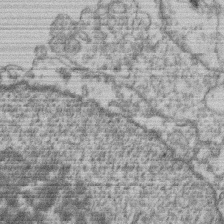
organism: Mouse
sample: T cell stromal cell synapse